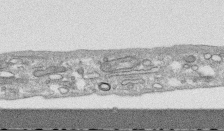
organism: Human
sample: CRL-1474